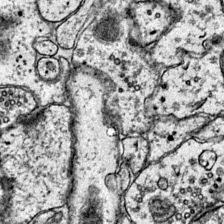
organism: Mouse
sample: Primary visual cortex